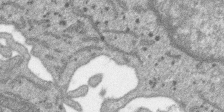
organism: Human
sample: Lung epithelial cells infected with SARS-CoV-2